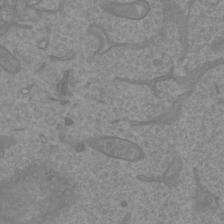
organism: Mouse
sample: Cortical neurons